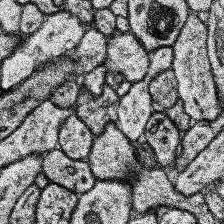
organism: Human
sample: Temporal Lobe